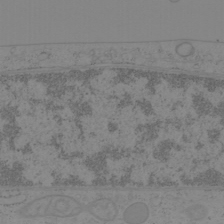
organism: Human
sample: HeLa cells